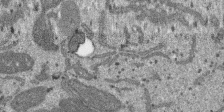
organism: Human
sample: Lung epithelial cells infected with SARS-CoV-2